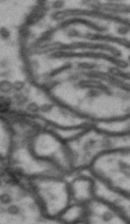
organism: Drosophila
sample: Brain